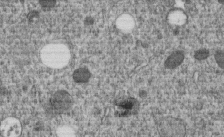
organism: C. elegans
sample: C. elegans embryo early stage